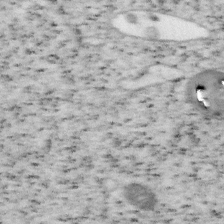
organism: Mouse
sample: OT-I killer T cells with ID8 ovarian cancer cells